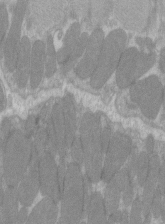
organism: C57BL Mouse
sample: Tibialis anterior muscle cell